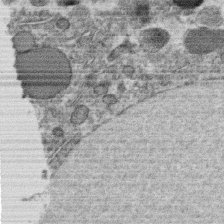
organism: C. elegans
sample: C. elegans oocyte; sperm cells